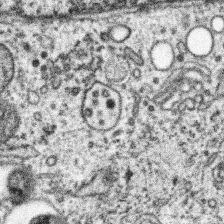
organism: Human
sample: HeLa cells